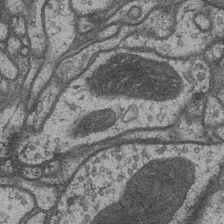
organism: Drosophila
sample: Optic medulla